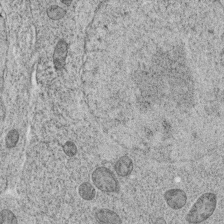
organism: C. elegans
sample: C. elegans oocyte; sperm cells